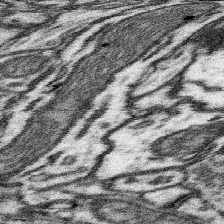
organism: Mouse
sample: Somatosensory cortex neuropil